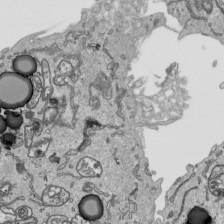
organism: Human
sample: Mitochondria in HCT116 cells